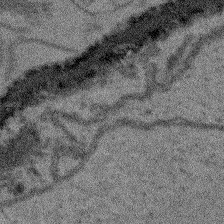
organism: Arabidopsis thaliana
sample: Root tip